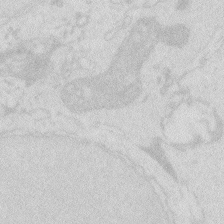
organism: Zebrafish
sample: Macrophage